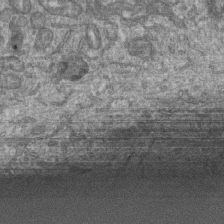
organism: Human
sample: Retinal organoid Rod and Cone cells